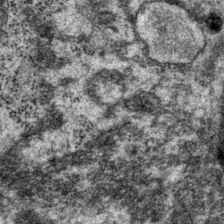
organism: P. pacificus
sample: Pharynx